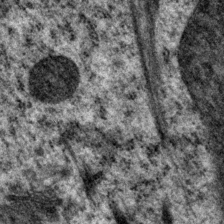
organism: P. pacificus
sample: Pharynx